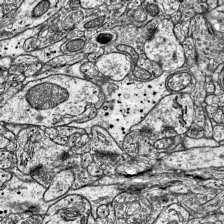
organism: Mouse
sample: Visual Cortex